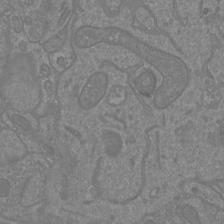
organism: Mouse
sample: Cortical neurons